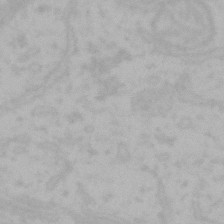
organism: Mouse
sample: Choroid plexus